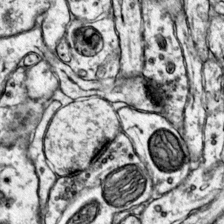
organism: Mouse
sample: Primary visual cortex